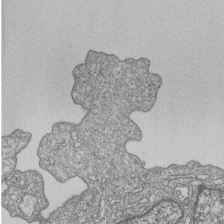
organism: Human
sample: MDA-MB-231 cells